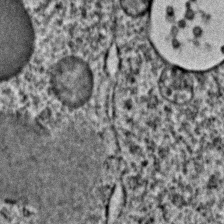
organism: C. elegans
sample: C. elegans embryo